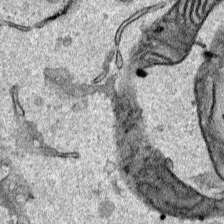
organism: Human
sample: Mitochondria in HCT116 cells